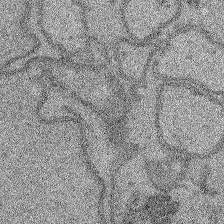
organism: Human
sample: HeLa cells